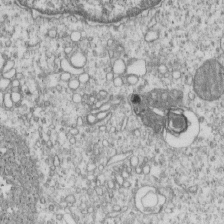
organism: Human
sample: MDA-MB-231 cells